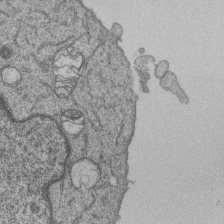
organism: Human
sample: MDA-MB-231 cells